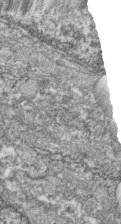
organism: Zebrafish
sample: Cilia; retinal pigment epithelium